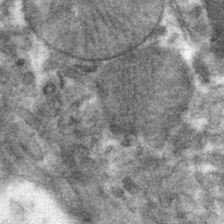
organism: Mouse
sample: Mouse hepatocytes